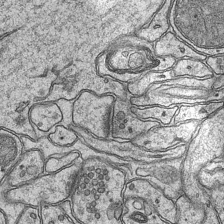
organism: Mouse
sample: CA1 Hippocampus